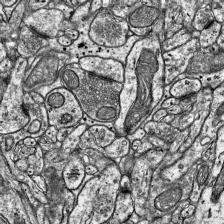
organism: Mouse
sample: Visual Cortex